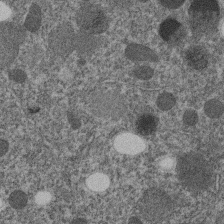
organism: C. elegans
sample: C. elegans embryo early stage